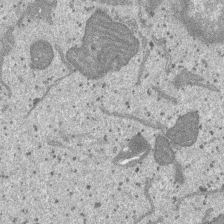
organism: Human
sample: Lung epithelial cells infected with SARS-CoV-2